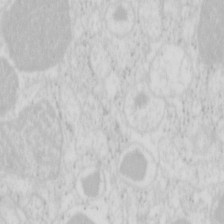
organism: Mouse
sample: Pancreas